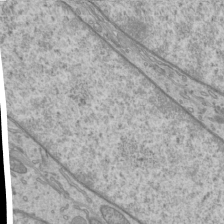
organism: Mouse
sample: Cilia; mouse epididymis